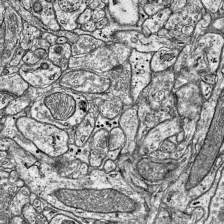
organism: Mouse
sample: Visual Cortex